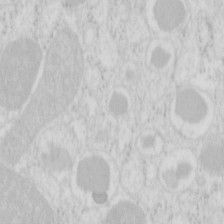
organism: Mouse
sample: Pancreas